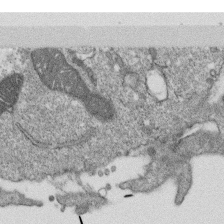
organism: African green monkey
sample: Vero E6 cells infected with SARS-CoV-2